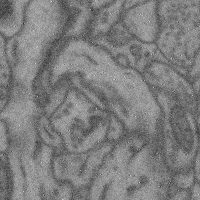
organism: Mouse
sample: Cerebral cortex